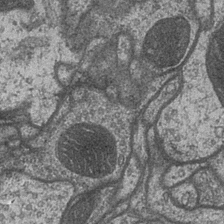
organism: Drosophila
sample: Optic medulla